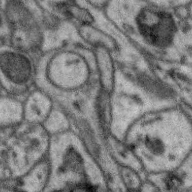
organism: Zebra finch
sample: Brain